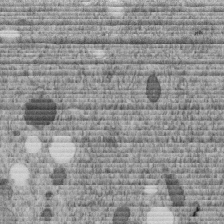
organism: C. elegans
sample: C. elegans embryo early stage